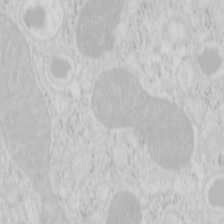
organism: Mouse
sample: Pancreas